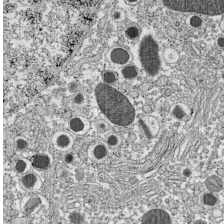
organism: C57BL Mouse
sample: Pancreatic islet